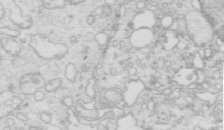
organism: Mouse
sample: Multiciliated cells